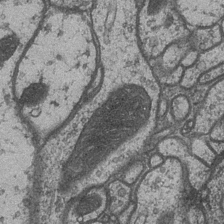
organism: Drosophila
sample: Optic medulla